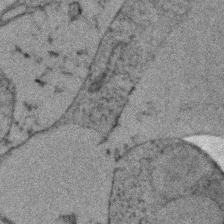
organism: Zebrafish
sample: Zebrafish embryo